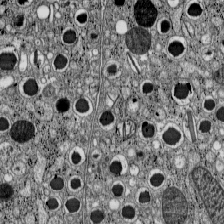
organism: C57BL Mouse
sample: Pancreatic islet